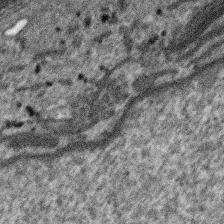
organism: Human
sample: Lung epithelial cells infected with SARS-CoV-2